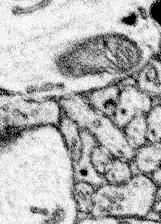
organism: Mouse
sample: Somatosensory cortex neuropil